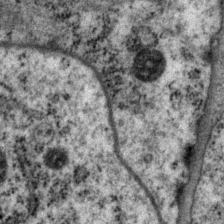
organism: P. pacificus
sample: Pharynx